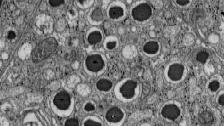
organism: C57BL Mouse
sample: Pancreatic islet